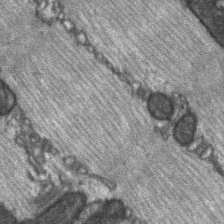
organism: C57BL Mouse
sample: Soleus